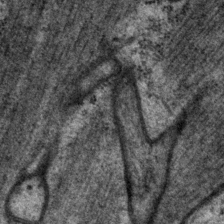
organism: P. pacificus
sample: Pharynx